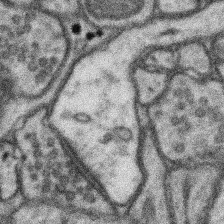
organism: Mouse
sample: Somatosensory cortex neuropil